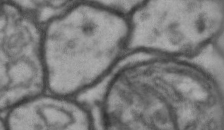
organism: Drosophila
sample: Brain